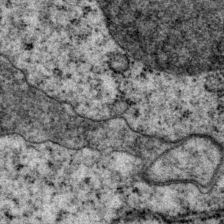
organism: P. pacificus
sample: Pharynx